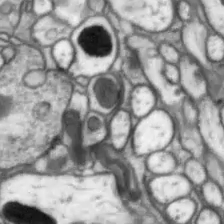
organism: Drosophila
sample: Optic lobe